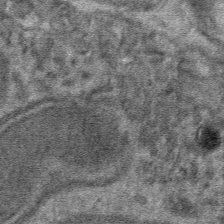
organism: Mouse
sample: Mouse hepatocytes